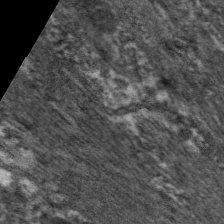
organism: C. elegans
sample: Pharynx